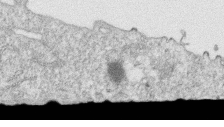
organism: Human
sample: HeLa cell HIV synapse